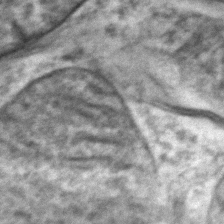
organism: Zebrafish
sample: Zebrafish embryo